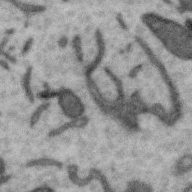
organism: Zebra finch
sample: Brain